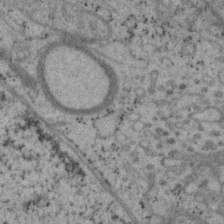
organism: Human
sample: HeLa cells